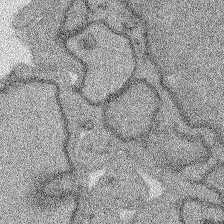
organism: Human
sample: HeLa cells